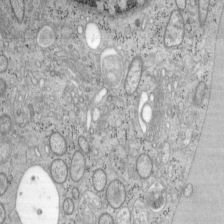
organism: Mouse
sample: OT-I killer T cells with ID8 ovarian cancer cells